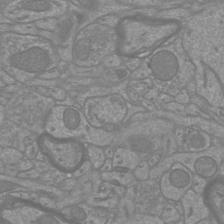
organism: Mouse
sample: Cortical neurons